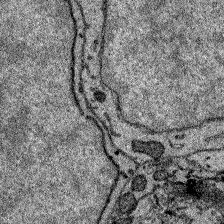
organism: Zebrafish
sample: Larval olfactory bulb